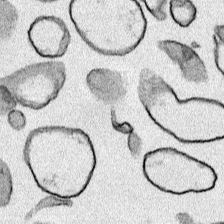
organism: Human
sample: Mitochondria in HCT116 cells